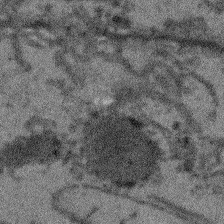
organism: Arabidopsis thaliana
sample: Root tip